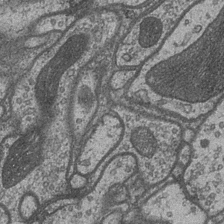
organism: Drosophila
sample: Optic medulla